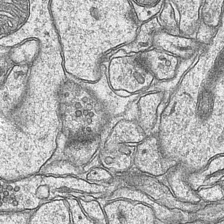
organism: Mouse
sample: CA1 Hippocampus